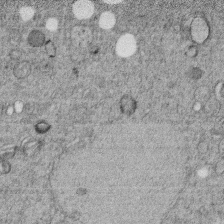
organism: C. elegans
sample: C. elegans embryo early stage